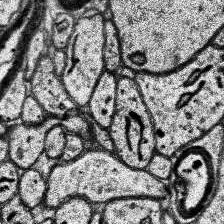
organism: Human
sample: Temporal Lobe